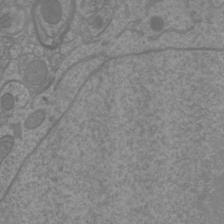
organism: Mouse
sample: Cortical neurons